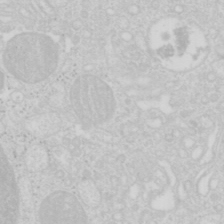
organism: Mouse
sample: Pancreas